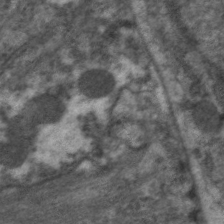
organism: C. elegans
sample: Pharynx